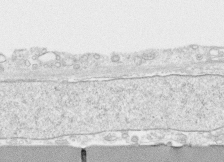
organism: Human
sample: CRL-1474